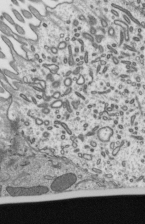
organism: Mouse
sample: Mouse epididymis efferent ductule cilia